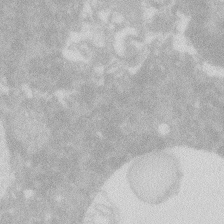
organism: Zebrafish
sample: Macrophage